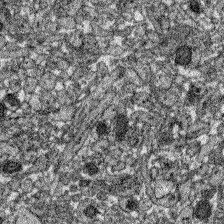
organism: Zebrafish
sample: Larval olfactory bulb